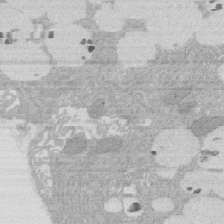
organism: Rat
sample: Salivary granule